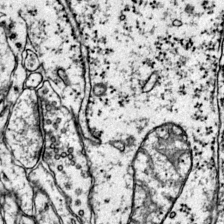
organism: Mouse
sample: Primary visual cortex